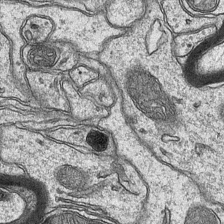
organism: Mouse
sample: CA1 Hippocampus